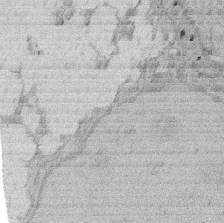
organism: Rat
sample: Salivary granule